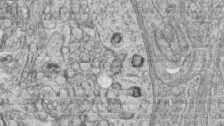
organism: Zebrafish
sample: synaptic ribbons in rod cells and cone cells